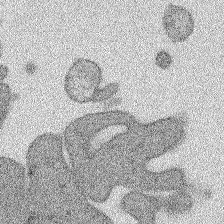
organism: Human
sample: HeLa cells